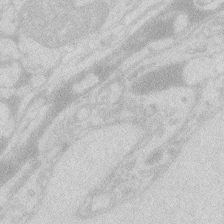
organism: Zebrafish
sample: Macrophage